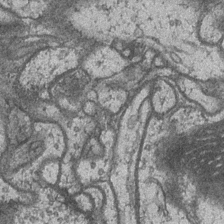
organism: Drosophila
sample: Optic medulla